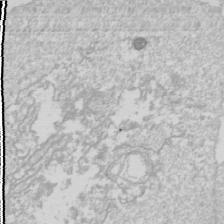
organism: Drosophila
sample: Cell division; meiosis; drosophila spermatocytes